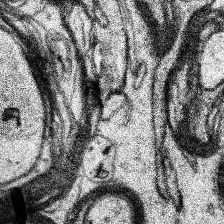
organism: Human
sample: Temporal Lobe